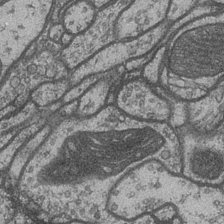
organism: Drosophila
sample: Optic medulla